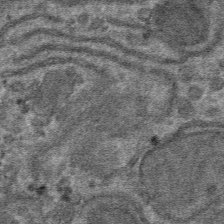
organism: Mouse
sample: Mouse hepatocytes